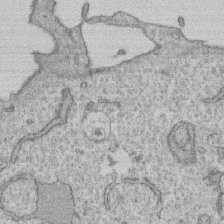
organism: Human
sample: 1205lu cells